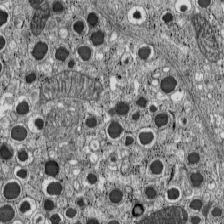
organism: C57BL Mouse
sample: Pancreatic islet